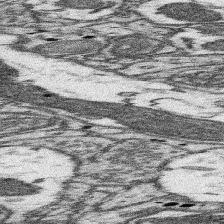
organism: Mouse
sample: Somatosensory cortex neuropil